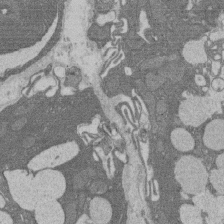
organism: Rat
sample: Salivary granule